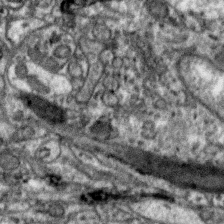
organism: Zebra finch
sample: Brain